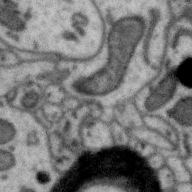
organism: Zebra finch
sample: Brain